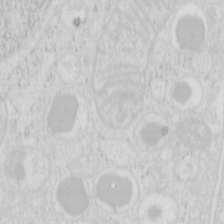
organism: Mouse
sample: Pancreas